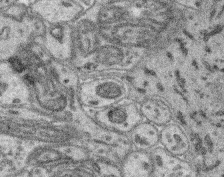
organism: Mouse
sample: Retina